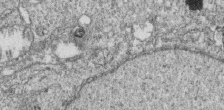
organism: Human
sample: HeLa cell HIV synapse